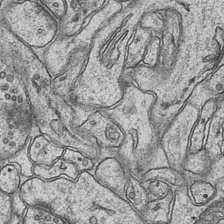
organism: Mouse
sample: CA1 Hippocampus